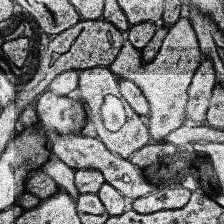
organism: Human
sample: Temporal Lobe